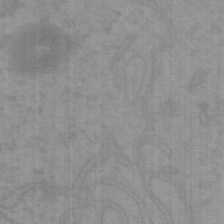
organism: Mouse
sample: Choroid plexus